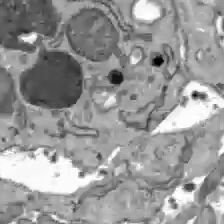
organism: C57BL Mouse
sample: Liver